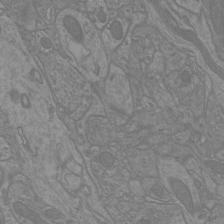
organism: Mouse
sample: Cortical neurons